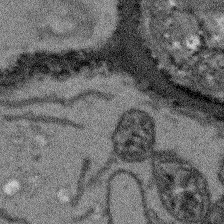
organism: Arabidopsis thaliana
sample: Root tip